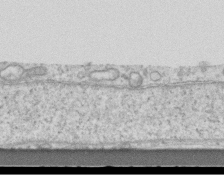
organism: Mouse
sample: Centriole in ependymal cells